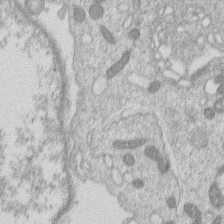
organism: Human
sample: Macrophage cells